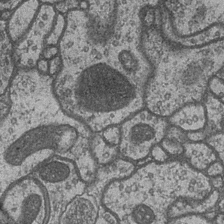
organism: Drosophila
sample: Optic medulla